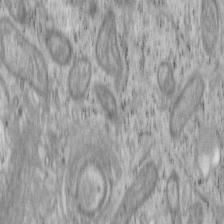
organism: Human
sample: HeLa cells